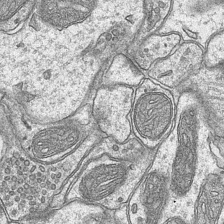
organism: Mouse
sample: CA1 Hippocampus